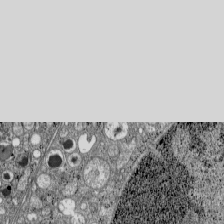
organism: C57BL Mouse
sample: Pancreatic islet